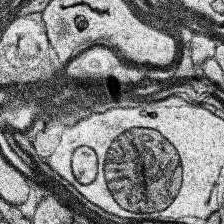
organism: Human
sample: Temporal Lobe